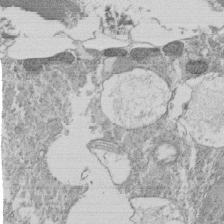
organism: Tetrahymena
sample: Cilia in tetrahymena